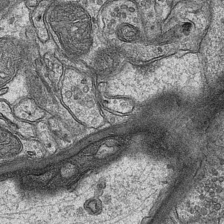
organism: Mouse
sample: CA1 Hippocampus